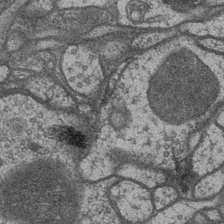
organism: Drosophila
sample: Optic medulla